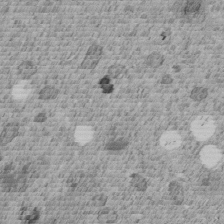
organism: C. elegans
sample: C. elegans embryo early stage